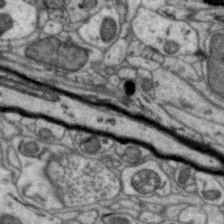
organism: Zebra finch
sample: Brain